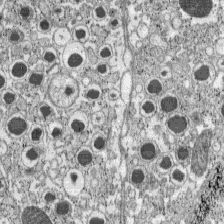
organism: C57BL Mouse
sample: Pancreatic islet